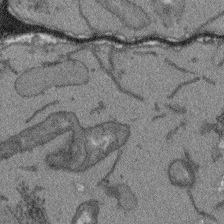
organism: Arabidopsis thaliana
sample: Root tip